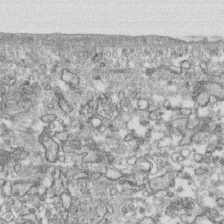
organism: Human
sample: CRL-1474